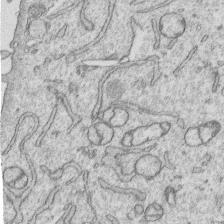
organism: Human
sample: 1205lu cells